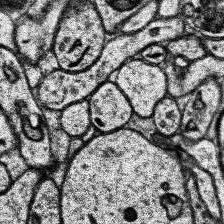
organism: Human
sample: Temporal Lobe